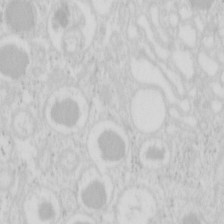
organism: Mouse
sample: Pancreas